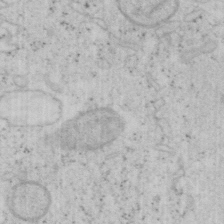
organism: Human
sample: HeLa cells